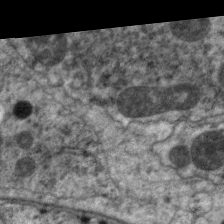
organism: C. elegans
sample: Pharynx